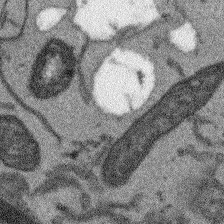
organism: Arabidopsis thaliana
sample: Root tip